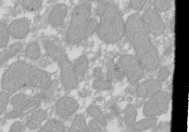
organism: Xenopus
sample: Cilia; centrioles in frog embryo cells